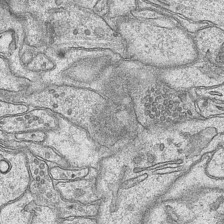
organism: Mouse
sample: CA1 Hippocampus